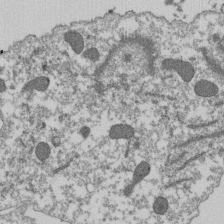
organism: Dictyostelium discoideum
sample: Dictyostelium multivesicular bodies